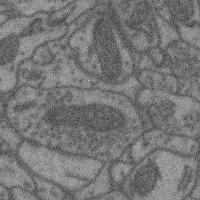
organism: Mouse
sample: Cerebral cortex